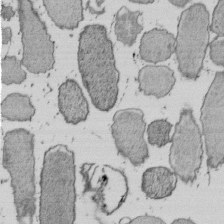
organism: E. coli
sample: Bacterial nucleoid